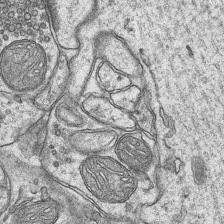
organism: Mouse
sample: CA1 Hippocampus